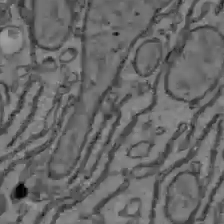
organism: C57BL Mouse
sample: Liver